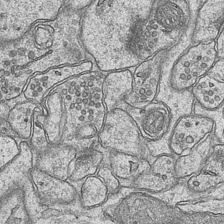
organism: Mouse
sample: CA1 Hippocampus